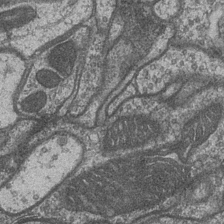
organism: Drosophila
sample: Optic medulla